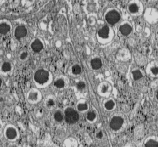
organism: C57BL Mouse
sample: Pancreatic islet